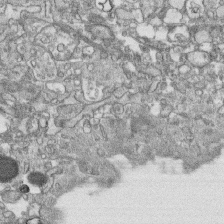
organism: Human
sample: CRL-1474